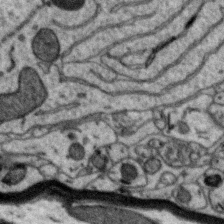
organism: Zebra finch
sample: Brain